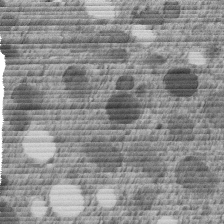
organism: C. elegans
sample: C. elegans embryo early stage